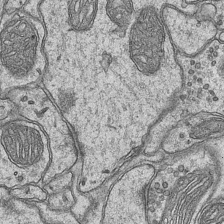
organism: Mouse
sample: CA1 Hippocampus